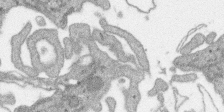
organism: Human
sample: Lung epithelial cells infected with SARS-CoV-2